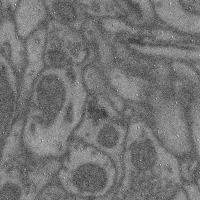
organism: Mouse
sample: Cerebral cortex